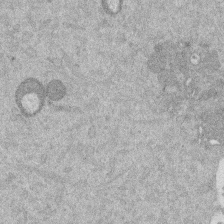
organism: Mouse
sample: Dividing mouse embryo 1 cell stage